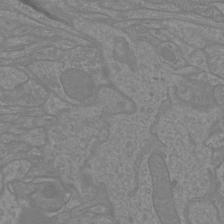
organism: Mouse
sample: Cortical neurons